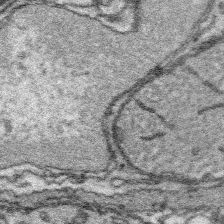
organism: Platynereis dumerilii